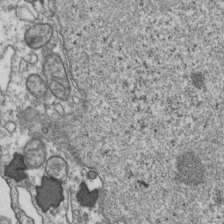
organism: Human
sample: Activated Jurkat CD4+ T cells